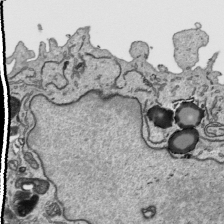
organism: Human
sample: Mitochondria in HCT116 cells